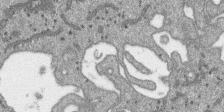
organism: Human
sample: Lung epithelial cells infected with SARS-CoV-2